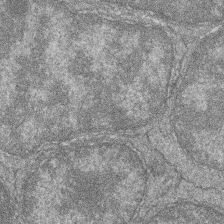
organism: Zebrafish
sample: Cilia; retinal pigment epithelium